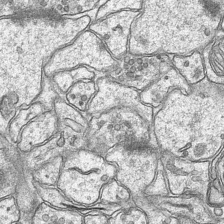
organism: Mouse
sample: CA1 Hippocampus